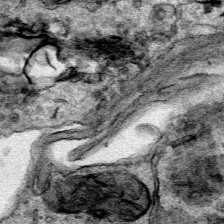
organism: Human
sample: Mitochondria in HCT116 cells